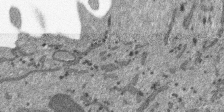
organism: Human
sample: Lung epithelial cells infected with SARS-CoV-2